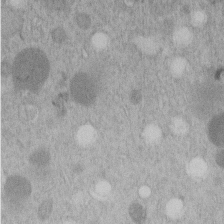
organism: C. elegans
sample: C. elegans embryo early stage